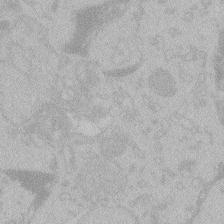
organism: Zebrafish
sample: Macrophage infected with Toxoplasma gondii